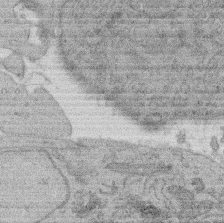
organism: Rat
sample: Salivary granule